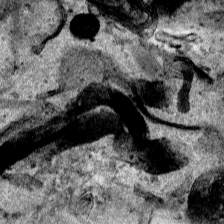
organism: Human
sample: Mitochondria in HCT116 cells